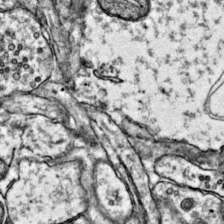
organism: Mouse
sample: Primary visual cortex